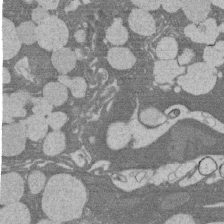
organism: Rat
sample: Salivary granule